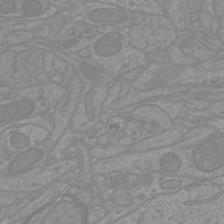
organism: Mouse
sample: Cortical neurons